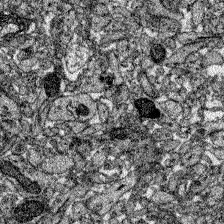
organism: Zebrafish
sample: Larval olfactory bulb